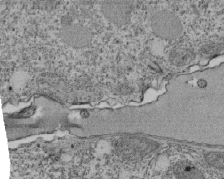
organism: Tetrahymena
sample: Cilia in tetrahymena